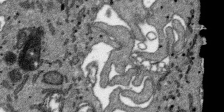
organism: Human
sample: Lung epithelial cells, uninfected (mock) control